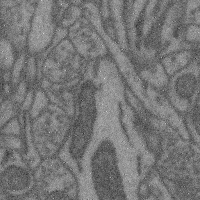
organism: Mouse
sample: Cerebral cortex